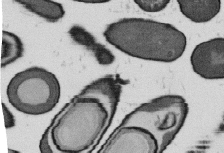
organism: B. subtilis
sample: Bacterial spore